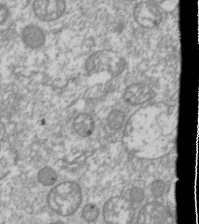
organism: Drosophila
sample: Cell division; meiosis; drosophila spermatocytes